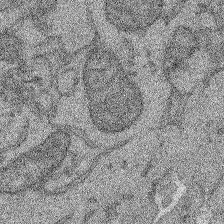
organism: Human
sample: HeLa cells